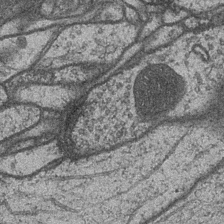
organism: Drosophila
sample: Optic medulla